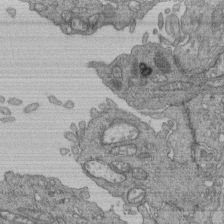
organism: Human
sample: Retinal organoid Rod and Cone cells